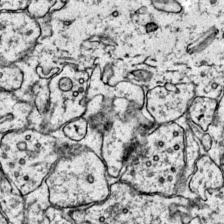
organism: Mouse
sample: Primary visual cortex